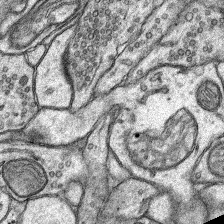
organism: Rat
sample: Hippocampus